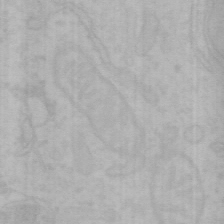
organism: Mouse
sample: Choroid plexus